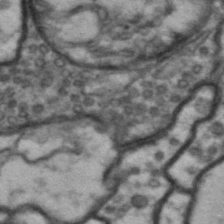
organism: Drosophila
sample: Brain